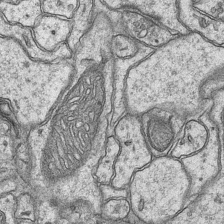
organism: Mouse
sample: CA1 Hippocampus